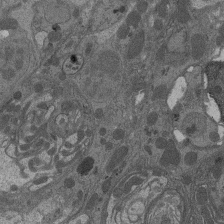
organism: Drosophila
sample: Antenna